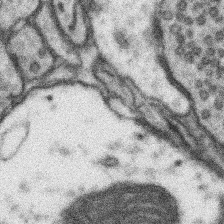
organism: Mouse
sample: Somatosensory cortex neuropil